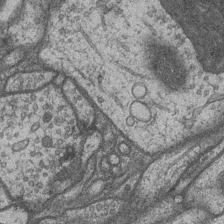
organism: Drosophila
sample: Optic medulla